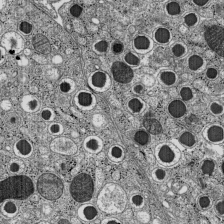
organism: C57BL Mouse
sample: Pancreatic islet